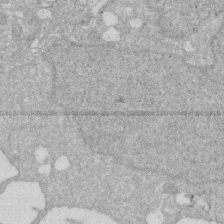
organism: Human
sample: HIV infected U937 cells